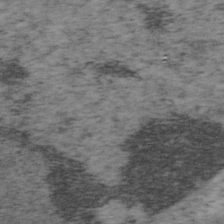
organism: Mouse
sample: OT-I killer T cells with ID8 ovarian cancer cells